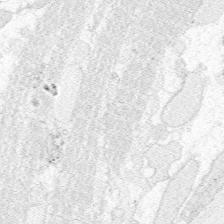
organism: Zebrafish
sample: Whole-Brain